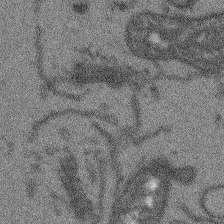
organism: Arabidopsis thaliana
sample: Root tip